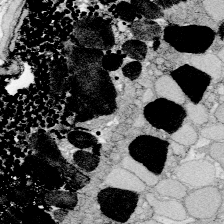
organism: Zebrafish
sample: Whole-Brain